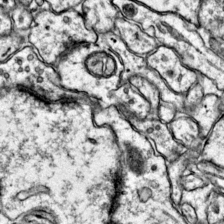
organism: Mouse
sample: Primary visual cortex